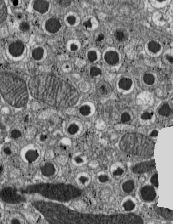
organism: C57BL Mouse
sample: Pancreatic islet